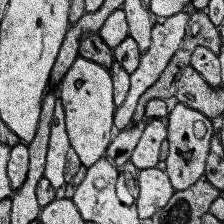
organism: Human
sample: Temporal Lobe